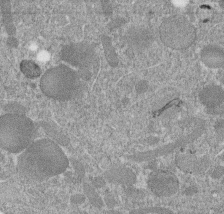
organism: C. elegans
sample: C. elegans embryo early stage